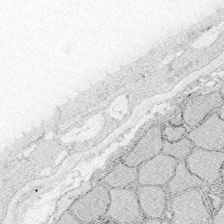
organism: Zebrafish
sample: Whole-Brain